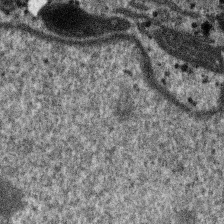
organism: Human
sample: Lung epithelial cells infected with SARS-CoV-2